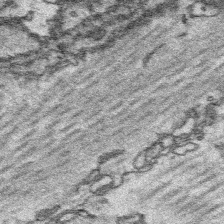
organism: Platynereis dumerilii